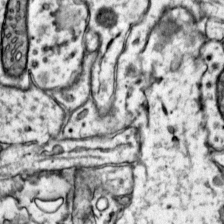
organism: Mouse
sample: Primary visual cortex